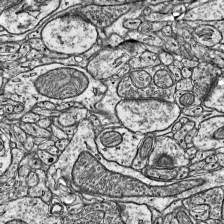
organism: Mouse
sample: Visual Cortex